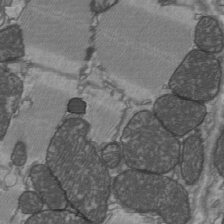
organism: C57BL Mouse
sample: Heart